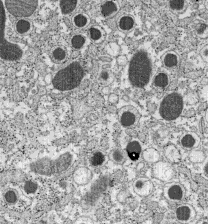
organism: C57BL Mouse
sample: Pancreatic islet